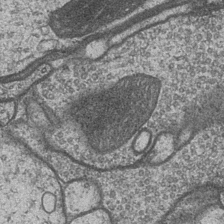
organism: Drosophila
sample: Optic medulla